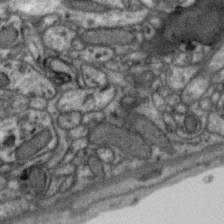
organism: Zebra finch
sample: Brain